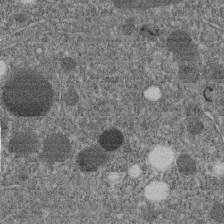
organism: C. elegans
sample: C. elegans embryo early stage